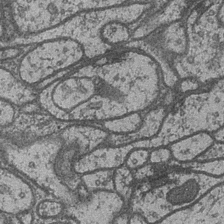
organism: Drosophila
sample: Optic medulla